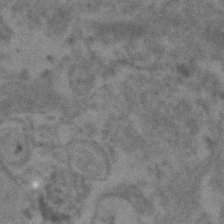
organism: Human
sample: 1205lu cells